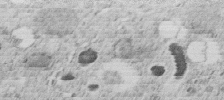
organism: C. elegans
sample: C. elegans embryo early stage